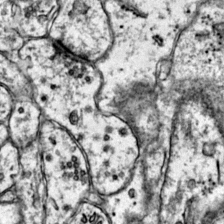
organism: Mouse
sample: Primary visual cortex